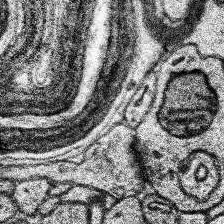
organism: Human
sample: Temporal Lobe